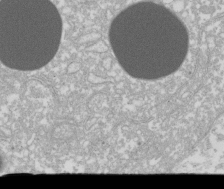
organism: Xenopus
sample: Cilia; centrioles in frog embryo cells